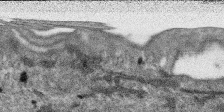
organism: Human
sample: Lung epithelial cells infected with SARS-CoV-2